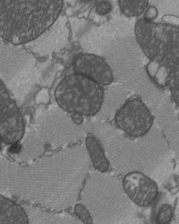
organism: C57BL Mouse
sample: Heart